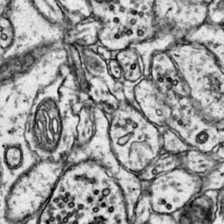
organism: Mouse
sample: Primary visual cortex